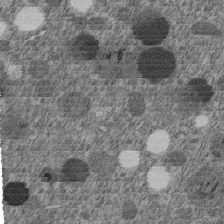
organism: C. elegans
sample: C. elegans embryo early stage